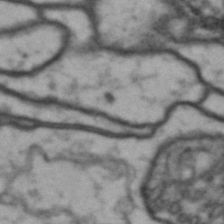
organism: Drosophila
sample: Brain